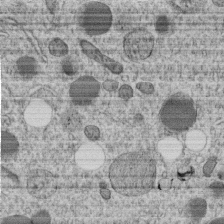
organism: C. elegans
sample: C. elegans embryo early stage